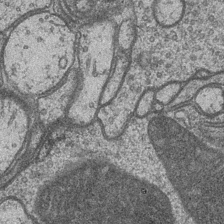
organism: Drosophila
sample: Optic medulla